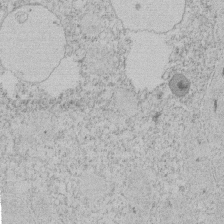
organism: Tetrahymena